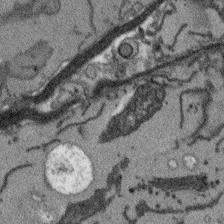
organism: Arabidopsis thaliana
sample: Root tip